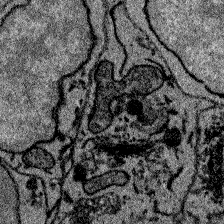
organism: Zebrafish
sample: Larval olfactory bulb